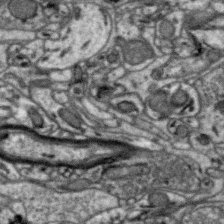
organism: Zebra finch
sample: Brain